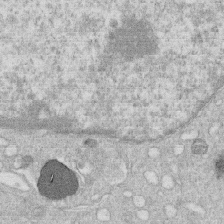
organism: Human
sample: Macrophage cells